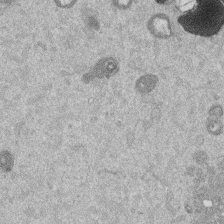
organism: Mouse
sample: Dividing mouse embryo 1 cell stage